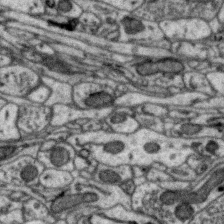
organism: Zebra finch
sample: Brain